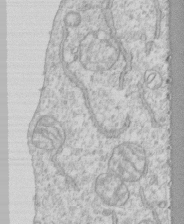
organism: Human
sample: CRL-1474